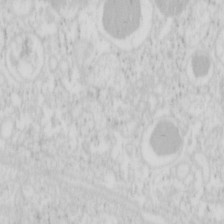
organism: Mouse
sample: Pancreas